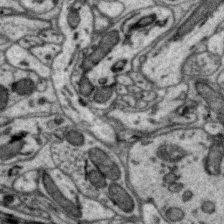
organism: Zebra finch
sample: Brain